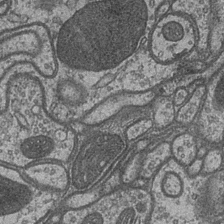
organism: Drosophila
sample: Optic medulla